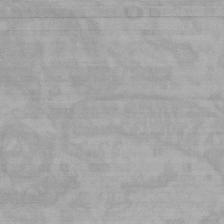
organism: Mouse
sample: Choroid plexus